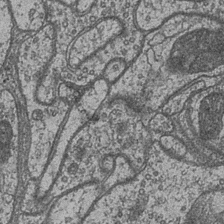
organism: Drosophila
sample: Optic medulla